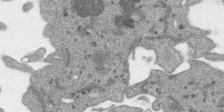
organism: Human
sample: Lung epithelial cells infected with SARS-CoV-2